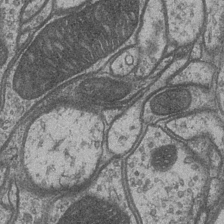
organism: Drosophila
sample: Optic medulla